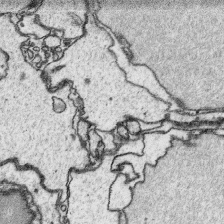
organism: Platynereis dumerilii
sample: Parapodia